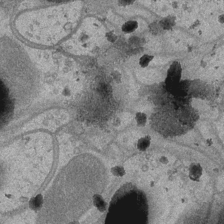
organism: Drosophila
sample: Optic medulla